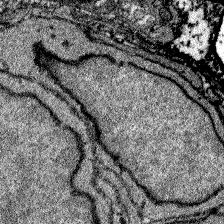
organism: Zebrafish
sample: Larval olfactory bulb